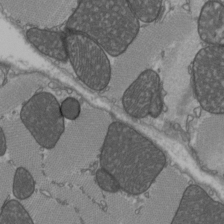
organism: C57BL Mouse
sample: Heart